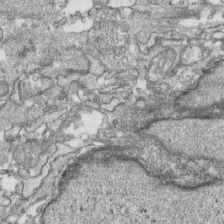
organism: Human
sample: CRL-1474